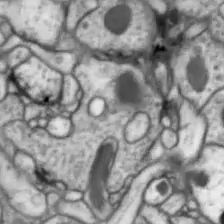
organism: Drosophila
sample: Optic lobe